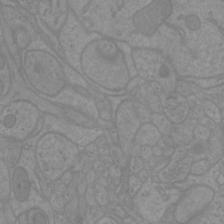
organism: Mouse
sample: Cortical neurons